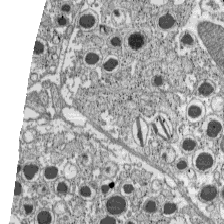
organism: C57BL Mouse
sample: Pancreatic islet